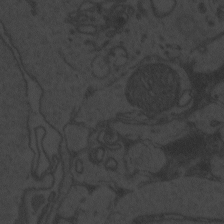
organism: Zebrafish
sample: Macrophage infected with Toxoplasma gondii